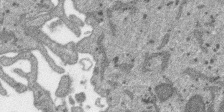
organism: Human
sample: Lung epithelial cells infected with SARS-CoV-2